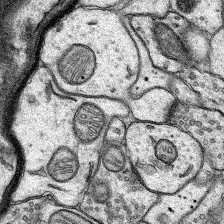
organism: Rat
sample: Hippocampus